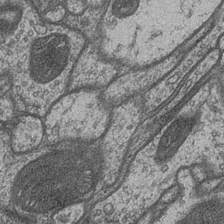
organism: Drosophila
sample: Optic medulla